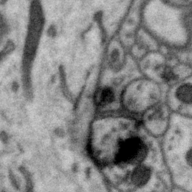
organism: Zebra finch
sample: Brain